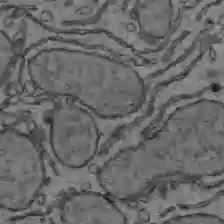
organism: C57BL Mouse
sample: Liver